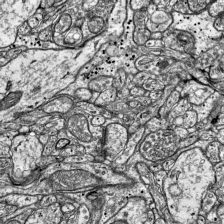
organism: Mouse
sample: Visual Cortex